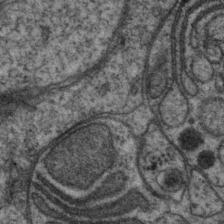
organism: P. pacificus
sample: Pharynx